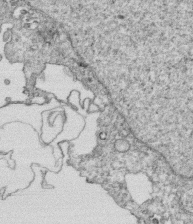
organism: Human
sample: HeLa cell HIV synapse